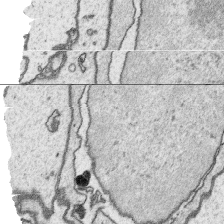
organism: Platynereis dumerilii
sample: Parapodia